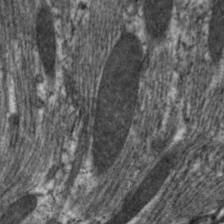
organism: C. elegans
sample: Pharynx